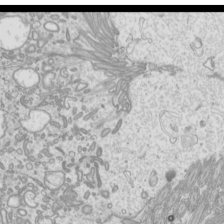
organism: Mouse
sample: Cilia; mouse epididymis